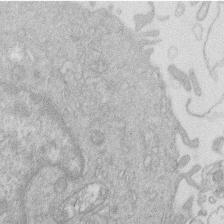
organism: Human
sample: Macrophage cells